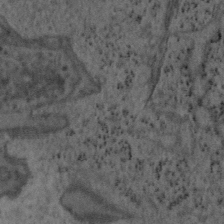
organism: Human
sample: HeLa cells